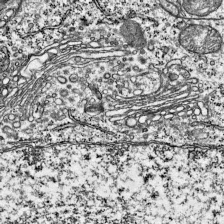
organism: Mouse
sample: Visual Cortex